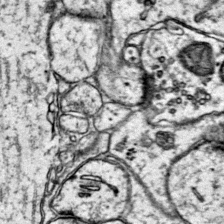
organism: Mouse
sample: Primary visual cortex